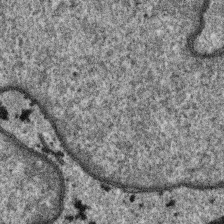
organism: Human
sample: Lung epithelial cells infected with SARS-CoV-2